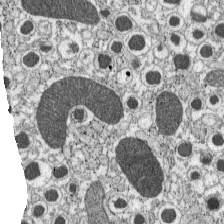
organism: C57BL Mouse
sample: Pancreatic islet